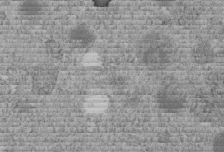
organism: C. elegans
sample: C. elegans embryo early stage